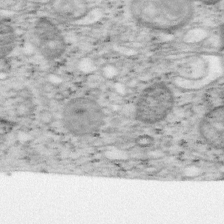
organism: Mouse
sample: OT-I killer T cells with ID8 ovarian cancer cells